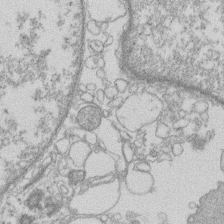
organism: Human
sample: Macrophage cells